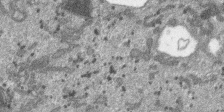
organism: Human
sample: Lung epithelial cells infected with SARS-CoV-2